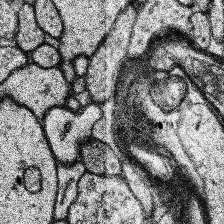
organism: Human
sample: Temporal Lobe